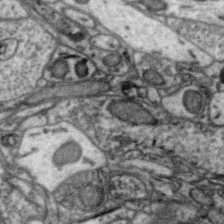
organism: Zebra finch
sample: Brain